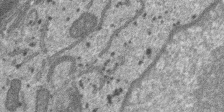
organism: Human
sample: Lung epithelial cells infected with SARS-CoV-2